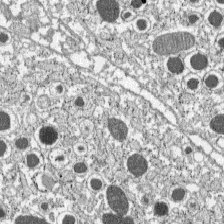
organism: C57BL Mouse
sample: Pancreatic islet